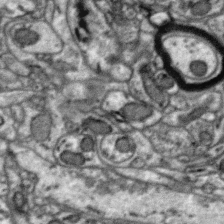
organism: Zebra finch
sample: Brain